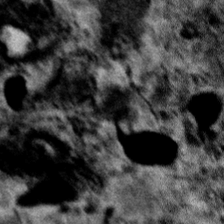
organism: Human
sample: Mitochondria in HCT116 cells